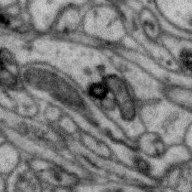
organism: Zebra finch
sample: Brain